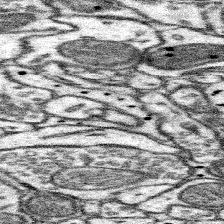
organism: Mouse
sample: Somatosensory cortex neuropil